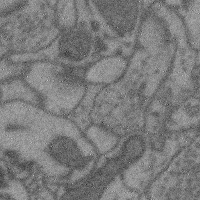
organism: Mouse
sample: Cerebral cortex